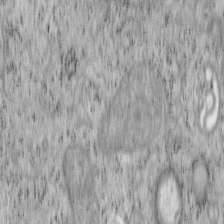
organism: Human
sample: HeLa cells